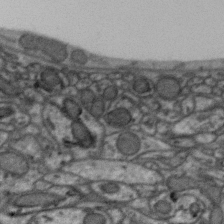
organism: Zebra finch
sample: Brain